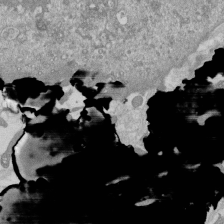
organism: Mouse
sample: ED-1 cell nuclei; centrioles